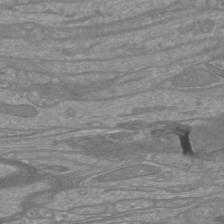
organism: Mouse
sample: Cortical neurons